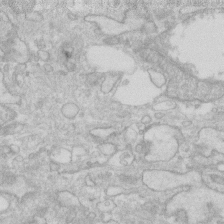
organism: Human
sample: Fibroblast cells